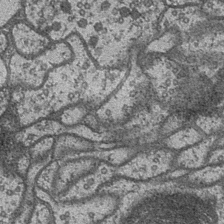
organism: Drosophila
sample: Optic medulla